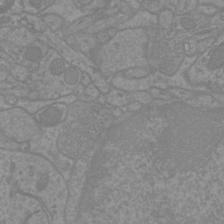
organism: Mouse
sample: Cortical neurons